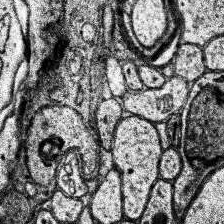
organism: Human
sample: Temporal Lobe